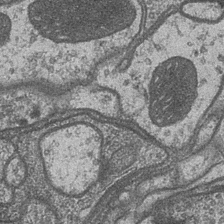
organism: Drosophila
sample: Optic medulla